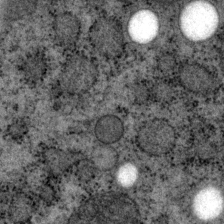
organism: P. pacificus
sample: Pharynx